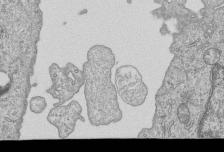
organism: Human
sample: MDA-MB-231 cells